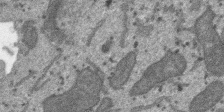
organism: Human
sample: Lung epithelial cells infected with SARS-CoV-2